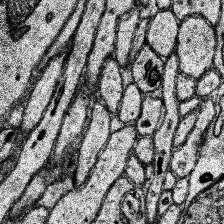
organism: Human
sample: Temporal Lobe